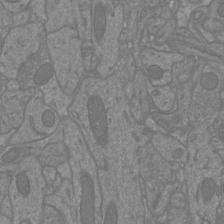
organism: Mouse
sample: Cortical neurons